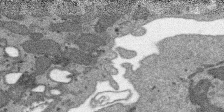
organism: Human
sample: Lung epithelial cells infected with SARS-CoV-2